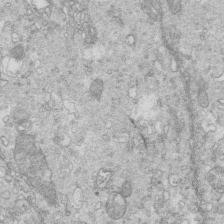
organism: Mouse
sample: Multiciliated cells